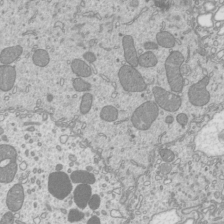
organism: Mouse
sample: Cilia; mouse epididymis